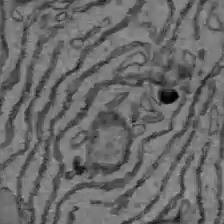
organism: C57BL Mouse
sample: Liver